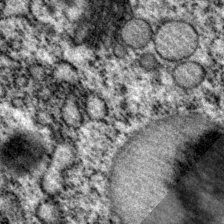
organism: P. pacificus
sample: Pharynx